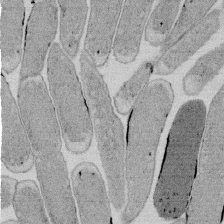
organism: E. coli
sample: Bacterial nucleoid